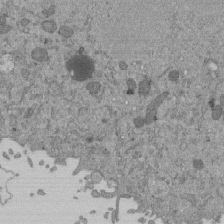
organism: Mouse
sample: ED-1 cell nuclei; centrioles